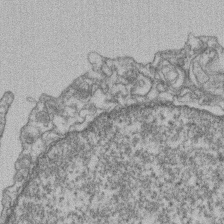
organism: Mouse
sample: T cell stromal cell synapse